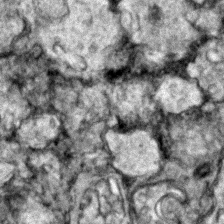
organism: Zebrafish